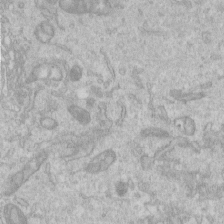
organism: Human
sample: Centriole in RPE cells